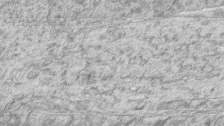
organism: Zebrafish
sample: synaptic ribbons in rod cells and cone cells